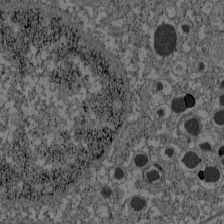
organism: C57BL Mouse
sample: Pancreatic islet